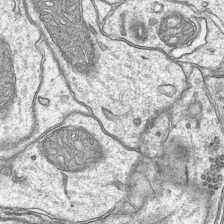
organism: Mouse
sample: CA1 Hippocampus